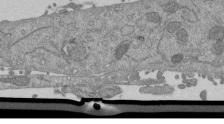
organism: Mouse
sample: ED-1 cell nuclei; centrioles